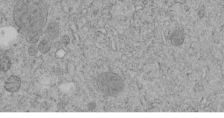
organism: C. elegans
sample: C. elegans embryo early stage